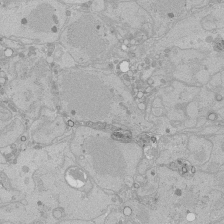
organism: Human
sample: Caco-2 cells